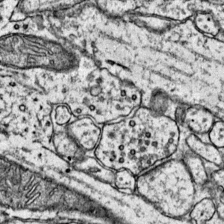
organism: Mouse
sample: Primary visual cortex